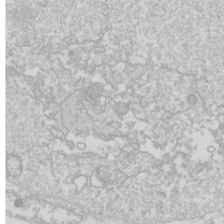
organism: Drosophila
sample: Cell division; meiosis; drosophila spermatocytes